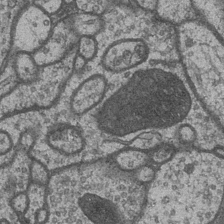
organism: Drosophila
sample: Optic medulla